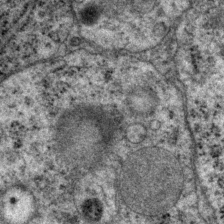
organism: P. pacificus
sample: Pharynx